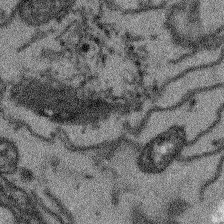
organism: Arabidopsis thaliana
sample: Root tip